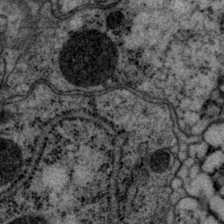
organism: P. pacificus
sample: Pharynx